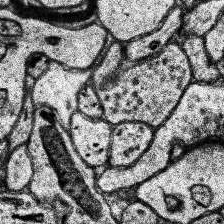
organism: Human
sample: Temporal Lobe